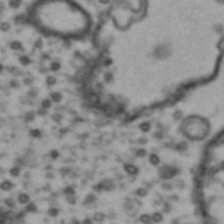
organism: Drosophila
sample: Brain